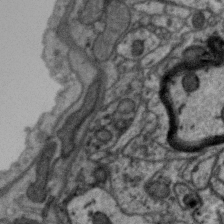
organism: Zebra finch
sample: Brain